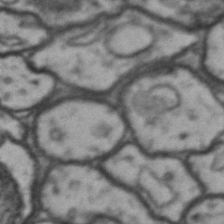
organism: Drosophila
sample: Brain